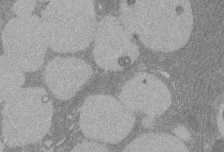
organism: Rat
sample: Salivary granule